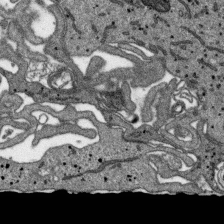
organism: Human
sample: Lung epithelial cells, uninfected (mock) control